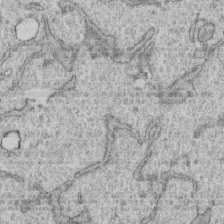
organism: Human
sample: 1205lu cells